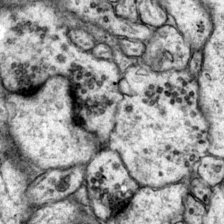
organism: Mouse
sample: Primary visual cortex